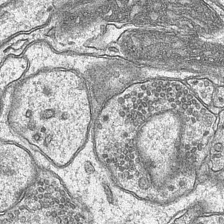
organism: Mouse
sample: CA1 Hippocampus